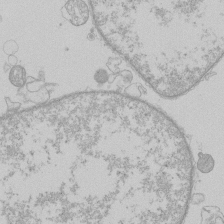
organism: Human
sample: Macrophage cells